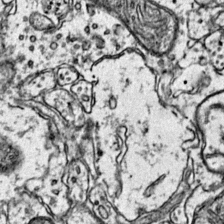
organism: Mouse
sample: Primary visual cortex